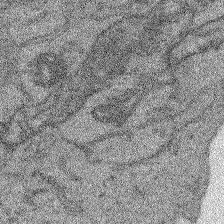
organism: Human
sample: HeLa cells